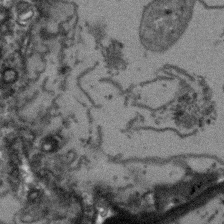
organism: Arabidopsis thaliana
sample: Root tip